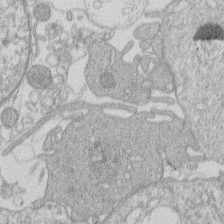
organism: Human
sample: Macrophage cells